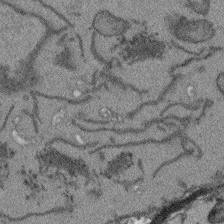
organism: Arabidopsis thaliana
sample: Root tip